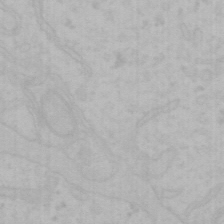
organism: Mouse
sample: Choroid plexus